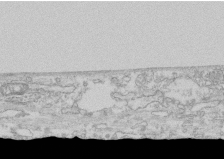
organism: Human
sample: CRL-1474